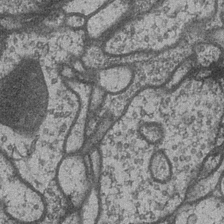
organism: Drosophila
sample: Optic medulla